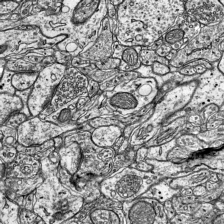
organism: Mouse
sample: Visual Cortex